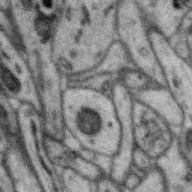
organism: Zebra finch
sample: Brain